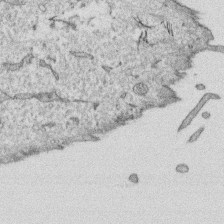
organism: Human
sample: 1205lu cells